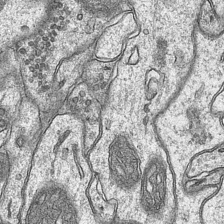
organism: Mouse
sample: CA1 Hippocampus